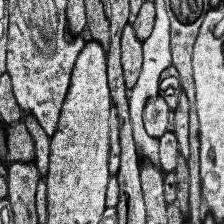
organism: Human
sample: Temporal Lobe